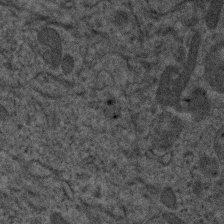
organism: Human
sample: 1205lu cells